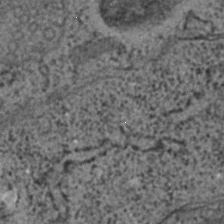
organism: C. elegans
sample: C. elegans embryo